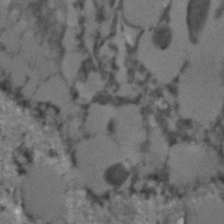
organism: C. elegans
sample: C. elegans embryo